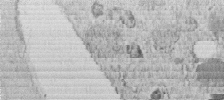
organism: C. elegans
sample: C. elegans embryo early stage